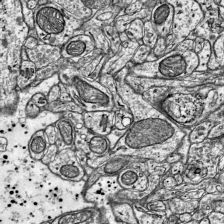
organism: Mouse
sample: Visual Cortex